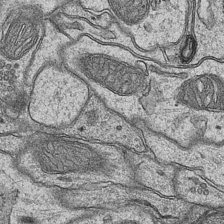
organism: Mouse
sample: CA1 Hippocampus